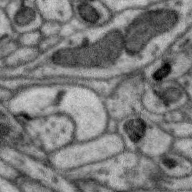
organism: Zebra finch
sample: Brain